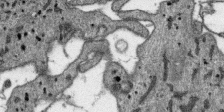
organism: Human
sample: Lung epithelial cells, uninfected (mock) control